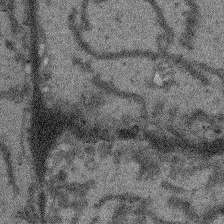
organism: Arabidopsis thaliana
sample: Root tip